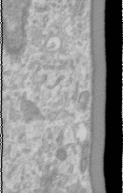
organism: Human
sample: Cilia; basal body in RPE cells